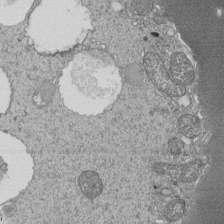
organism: Tetrahymena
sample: Cilia in tetrahymena